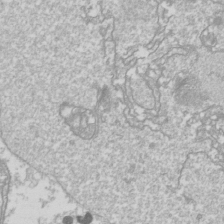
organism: Drosophila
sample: Cell division; meiosis; drosophila spermatocytes